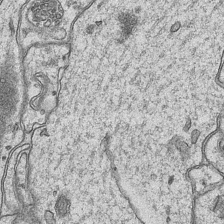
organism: Mouse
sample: CA1 Hippocampus